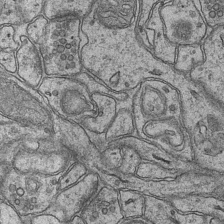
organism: Mouse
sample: CA1 Hippocampus